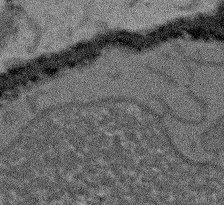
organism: Arabidopsis thaliana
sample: Root tip